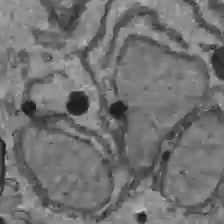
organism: C57BL Mouse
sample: Liver